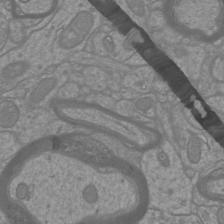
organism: Mouse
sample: Cortical neurons